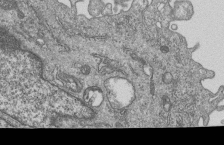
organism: Human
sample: MDA-MB-231 cells